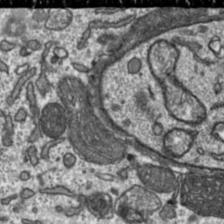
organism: Toxoplasma gondii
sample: Parasites in a vacuole inside a host cell